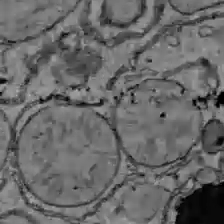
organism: C57BL Mouse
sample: Liver